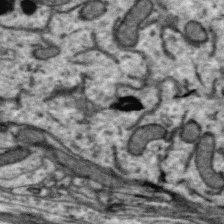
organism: Zebra finch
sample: Brain